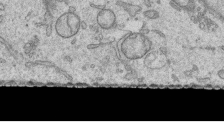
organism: Human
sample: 1205lu cells